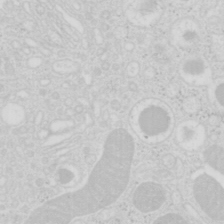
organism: Mouse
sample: Pancreas